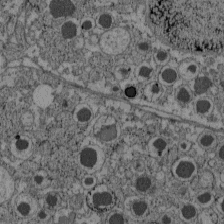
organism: C57BL Mouse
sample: Pancreatic islet